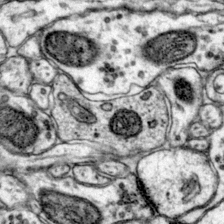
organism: Mouse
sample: Primary visual cortex